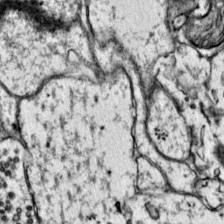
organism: Mouse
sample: Primary visual cortex